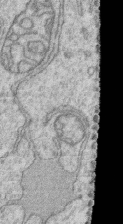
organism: Human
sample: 1205lu cells